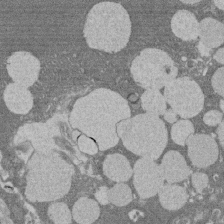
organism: Rat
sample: Salivary granule